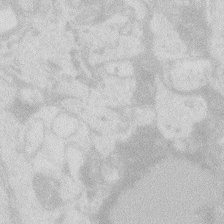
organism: Zebrafish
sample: Macrophage